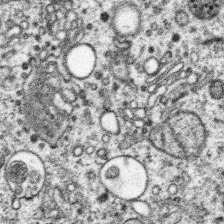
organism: Human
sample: HeLa cells